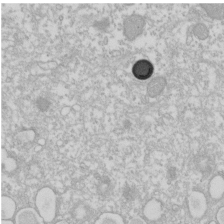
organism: Xenopus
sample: Cilia; centrioles in frog embryo cells